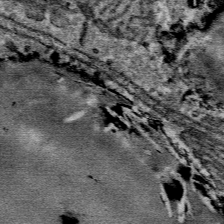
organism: Mouse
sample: Mouse Salivary gland